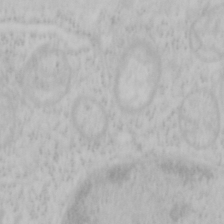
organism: Mouse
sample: OT-I killer T cells with ID8 ovarian cancer cells